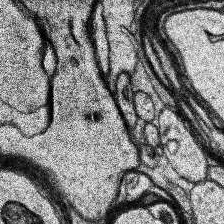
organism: Human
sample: Temporal Lobe